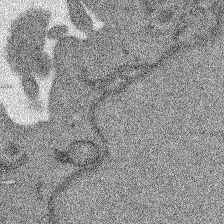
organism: Human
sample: HeLa cells